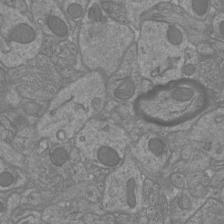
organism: Mouse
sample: Cortical neurons